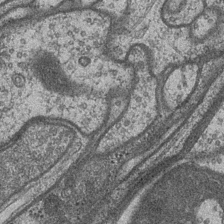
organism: Drosophila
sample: Optic medulla